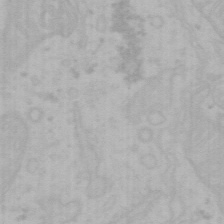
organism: Mouse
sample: Choroid plexus